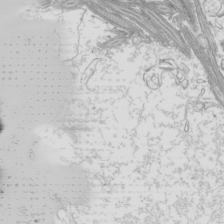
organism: Mouse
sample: Cilia; mouse epididymis